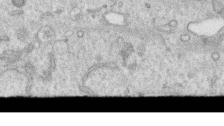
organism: Human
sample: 1205lu cells